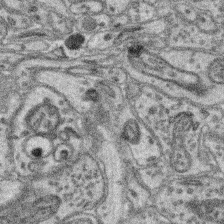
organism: Mouse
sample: Retina